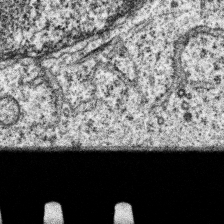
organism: Human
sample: HeLa cells